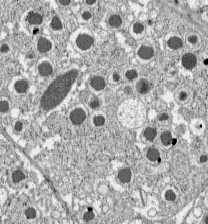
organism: C57BL Mouse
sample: Pancreatic islet